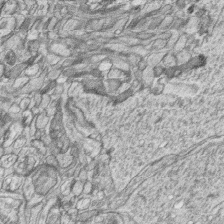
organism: Zebrafish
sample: synaptic ribbons in rod cells and cone cells